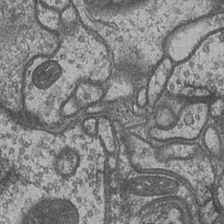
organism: Drosophila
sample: Optic medulla